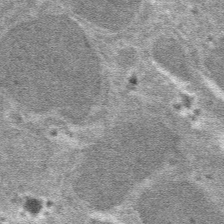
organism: Mouse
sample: Mouse hepatocytes